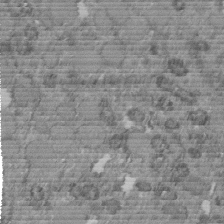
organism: C. elegans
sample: C. elegans embryo early stage